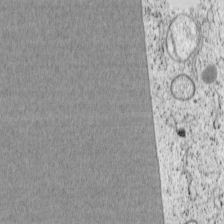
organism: African green monkey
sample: COS-7 cells